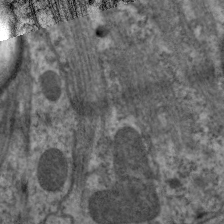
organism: C. elegans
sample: Pharynx